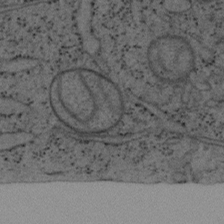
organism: Human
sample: HeLa cells